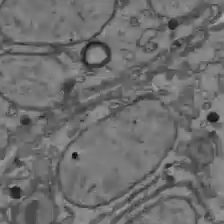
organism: C57BL Mouse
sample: Liver